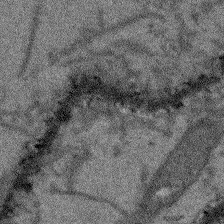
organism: Arabidopsis thaliana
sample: Root tip